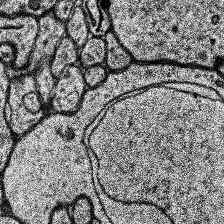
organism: Human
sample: Temporal Lobe